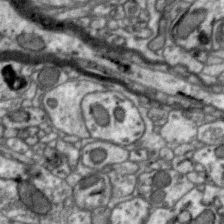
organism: Zebra finch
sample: Brain